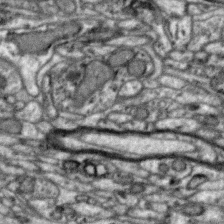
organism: Zebra finch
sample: Brain